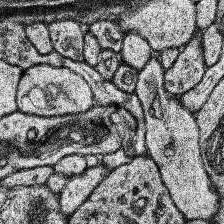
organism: Human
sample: Temporal Lobe